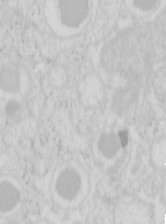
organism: Mouse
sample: Pancreas